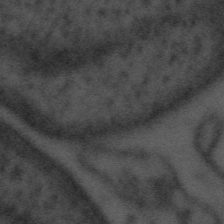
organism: Tuwongella immobilis